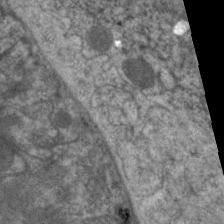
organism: C. elegans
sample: Pharynx